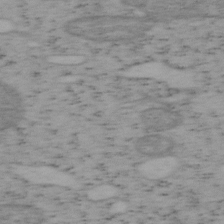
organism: Mouse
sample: OT-I killer T cells with ID8 ovarian cancer cells